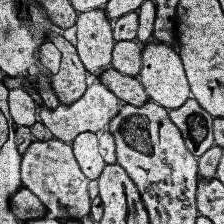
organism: Human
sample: Temporal Lobe